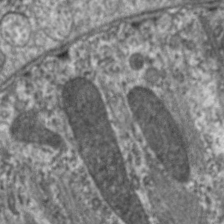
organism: C. elegans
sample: Pharynx